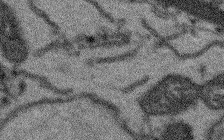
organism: Arabidopsis thaliana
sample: Root tip